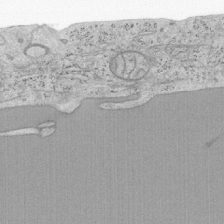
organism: Human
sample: HeLa cells